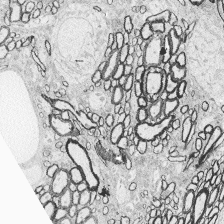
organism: Zebrafish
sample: Whole-Brain